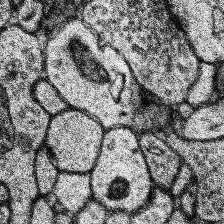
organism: Human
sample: Temporal Lobe